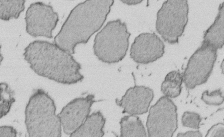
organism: E. coli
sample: Bacterial nucleoid